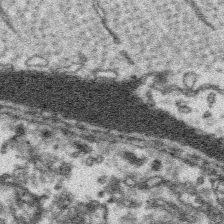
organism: Platynereis dumerilii